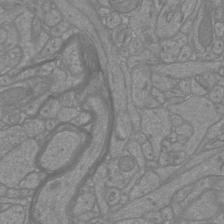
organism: Mouse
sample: Cortical neurons